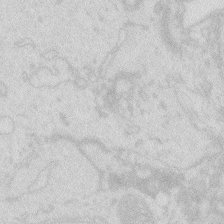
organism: Zebrafish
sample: Macrophage